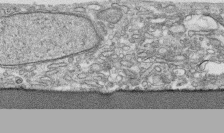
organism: Human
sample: CRL-1474